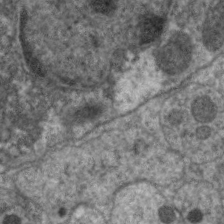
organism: C. elegans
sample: Pharynx